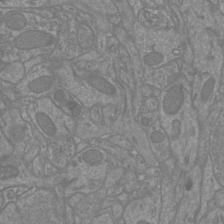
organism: Mouse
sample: Cortical neurons